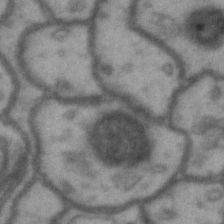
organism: Drosophila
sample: Brain